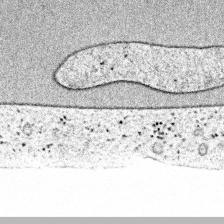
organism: Human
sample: HeLa cells